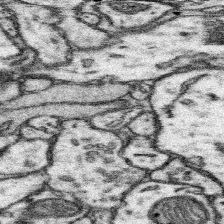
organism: Mouse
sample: Somatosensory cortex neuropil